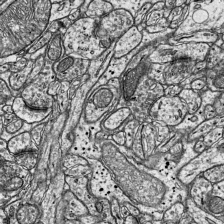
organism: Mouse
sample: Visual Cortex